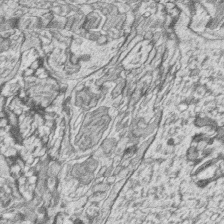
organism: Zebrafish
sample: synaptic ribbons in rod cells and cone cells